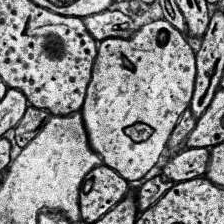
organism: Human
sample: Temporal Lobe